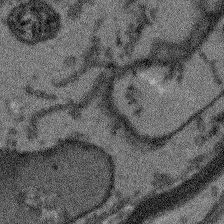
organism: Arabidopsis thaliana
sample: Root tip